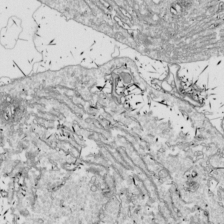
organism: Drosophila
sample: Cell division; meiosis; drosophila spermatocytes